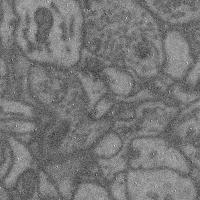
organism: Mouse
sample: Cerebral cortex